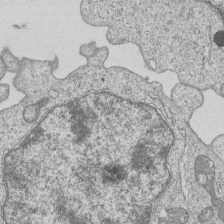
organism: Human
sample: MDA-MB-231 cells